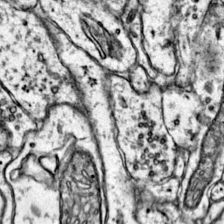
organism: Mouse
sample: Primary visual cortex